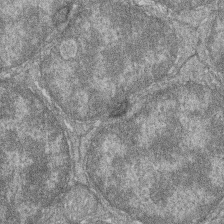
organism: Zebrafish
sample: Cilia; retinal pigment epithelium